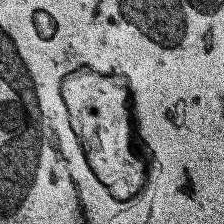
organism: Human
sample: Temporal Lobe